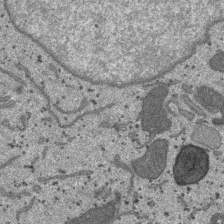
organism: Human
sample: Lung epithelial cells infected with SARS-CoV-2